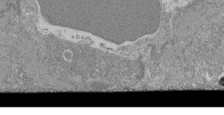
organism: Mouse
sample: Glomerulus